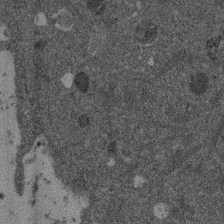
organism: Mouse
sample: Dividing mouse embryo 1 cell stage